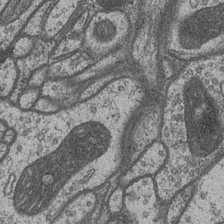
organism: Drosophila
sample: Optic medulla